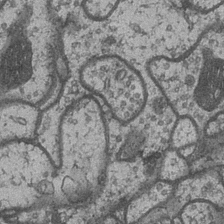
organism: Drosophila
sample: Optic medulla